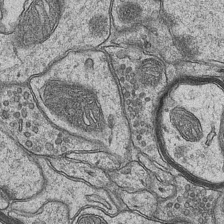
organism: Mouse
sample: CA1 Hippocampus